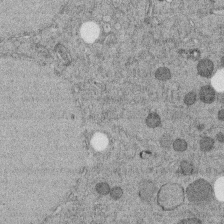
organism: C. elegans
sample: C. elegans embryo early stage